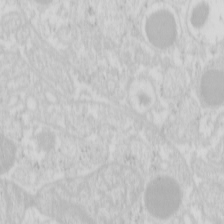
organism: Mouse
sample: Pancreas